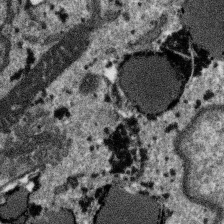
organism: Human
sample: Lung epithelial cells infected with SARS-CoV-2